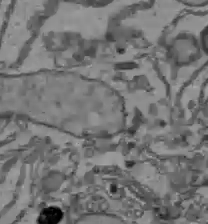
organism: C57BL Mouse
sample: Liver